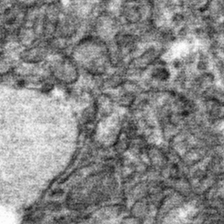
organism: Mouse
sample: Mouse hepatocytes